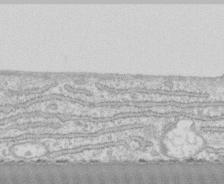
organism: Human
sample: CRL-1474